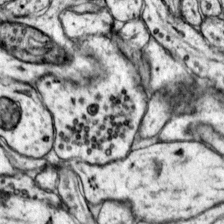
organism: Mouse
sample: Primary visual cortex